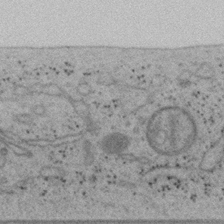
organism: Human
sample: HeLa cells